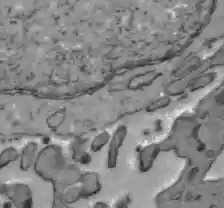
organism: C57BL Mouse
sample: Liver